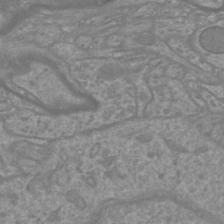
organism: Mouse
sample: Cortical neurons